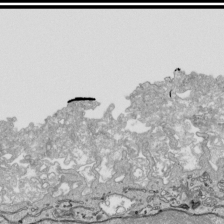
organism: Human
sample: Mitochondria in HCT116 cells